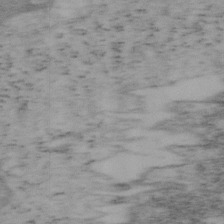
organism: Mouse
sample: OT-I killer T cells with ID8 ovarian cancer cells